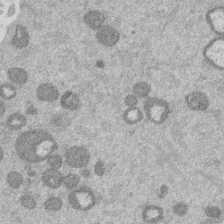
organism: Mouse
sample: Dividing mouse embryo 1 cell stage